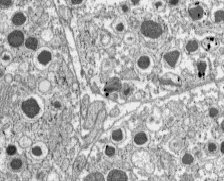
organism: C57BL Mouse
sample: Pancreatic islet